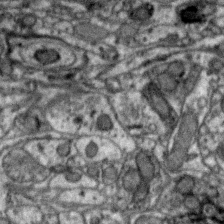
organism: Zebra finch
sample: Brain